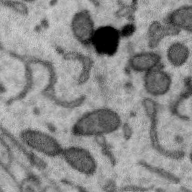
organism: Zebra finch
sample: Brain